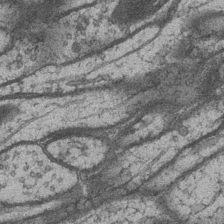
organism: Drosophila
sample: Optic medulla